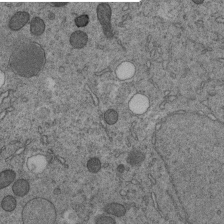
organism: C. elegans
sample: C. elegans embryo early stage